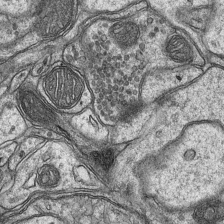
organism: Mouse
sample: CA1 Hippocampus